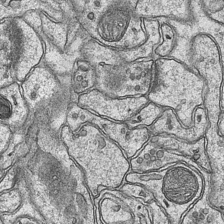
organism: Mouse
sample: CA1 Hippocampus